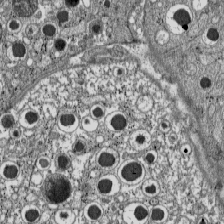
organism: C57BL Mouse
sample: Pancreatic islet